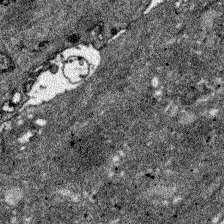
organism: Zebrafish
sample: Larval olfactory bulb